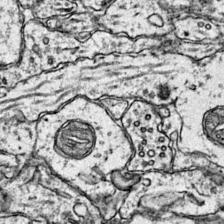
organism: Mouse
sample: Primary visual cortex